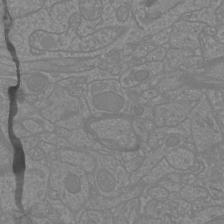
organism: Mouse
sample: Cortical neurons